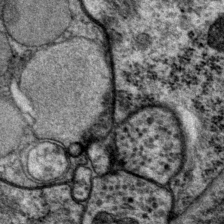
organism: P. pacificus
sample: Pharynx